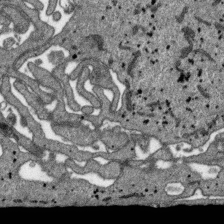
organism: Human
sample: Lung epithelial cells, uninfected (mock) control